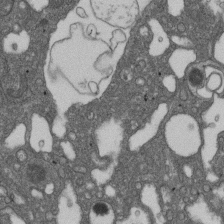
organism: Drosophila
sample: Nephrocyte